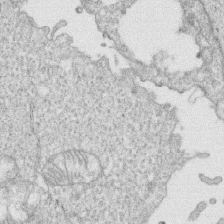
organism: Human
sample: HeLa cell HIV synapse